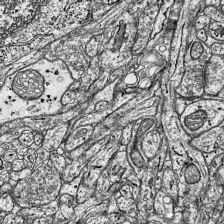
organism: Mouse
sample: Visual Cortex